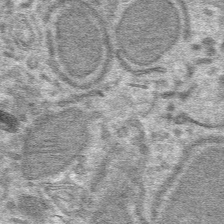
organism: Mouse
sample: Mouse hepatocytes